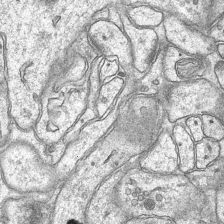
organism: Mouse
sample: CA1 Hippocampus